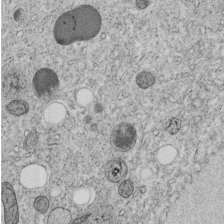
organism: C. elegans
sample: C. elegans embryo early stage